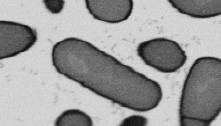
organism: B. subtilis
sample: Bacterial spore